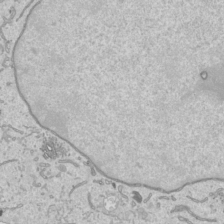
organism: Human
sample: Mitochondria in HCT116 cells